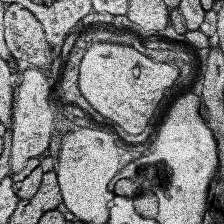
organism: Human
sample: Temporal Lobe